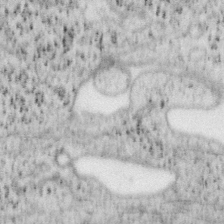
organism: Mouse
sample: OT-I killer T cells with ID8 ovarian cancer cells